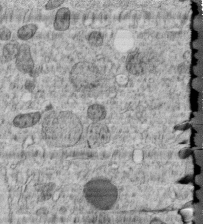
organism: C. elegans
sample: C. elegans embryo early stage